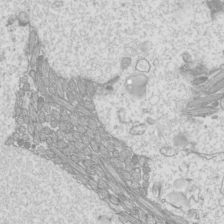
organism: Mouse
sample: Cilia; mouse epididymis